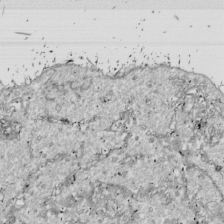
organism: Drosophila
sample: Cell division; meiosis; drosophila spermatocytes